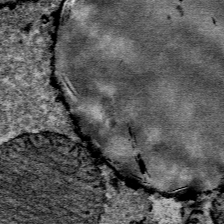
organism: Mouse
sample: Mouse Salivary gland